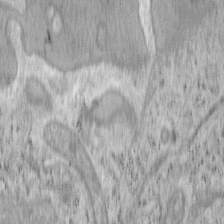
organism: Human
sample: HeLa cells